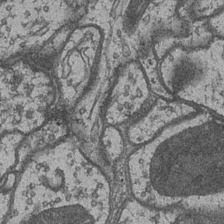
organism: Drosophila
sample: Optic medulla